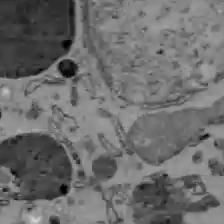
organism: C57BL Mouse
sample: Liver